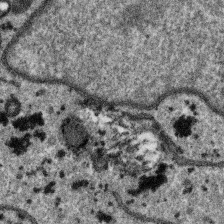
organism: Human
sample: Lung epithelial cells infected with SARS-CoV-2